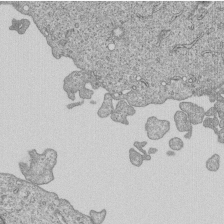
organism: Human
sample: MDA-MB-231 cells